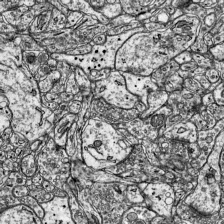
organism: Mouse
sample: Visual Cortex